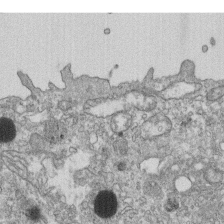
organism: Human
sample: HeLa cell HIV synapse